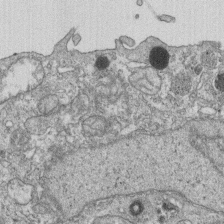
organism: Human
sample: HeLa cell HIV synapse